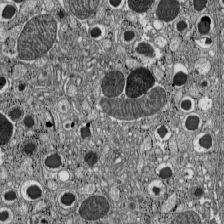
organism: C57BL Mouse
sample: Pancreatic islet